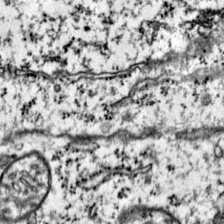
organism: Mouse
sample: Primary visual cortex